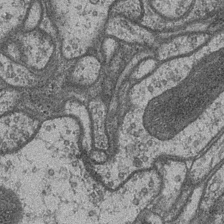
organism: Drosophila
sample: Optic medulla